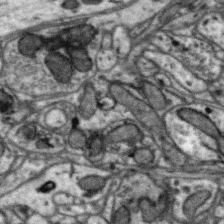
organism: Zebra finch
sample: Brain